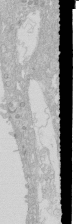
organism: Human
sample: Caco-2 cells